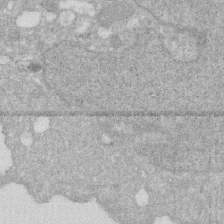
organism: Human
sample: HIV infected U937 cells